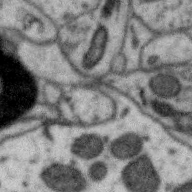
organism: Zebra finch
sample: Brain